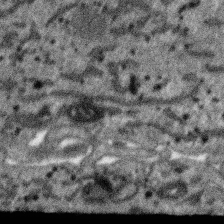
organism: Human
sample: Lung epithelial cells infected with SARS-CoV-2